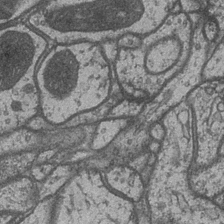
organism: Drosophila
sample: Optic medulla